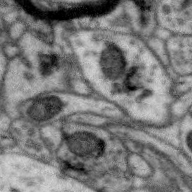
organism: Zebra finch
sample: Brain